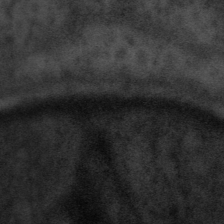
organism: Tuwongella immobilis